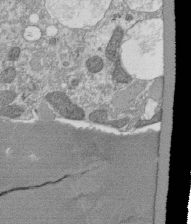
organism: Tetrahymena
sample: Cilia in tetrahymena